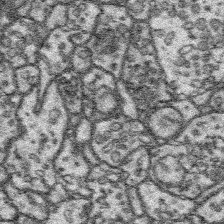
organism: Platynereis dumerilii